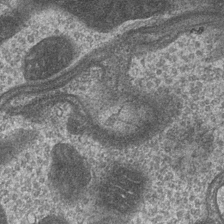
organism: Drosophila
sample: Optic medulla